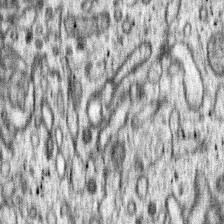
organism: Human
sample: HeLa cells